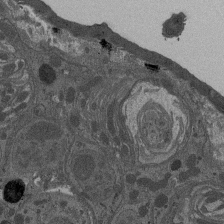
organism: Drosophila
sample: Antenna